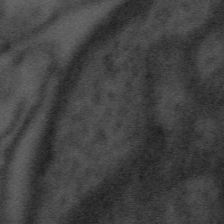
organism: Tuwongella immobilis